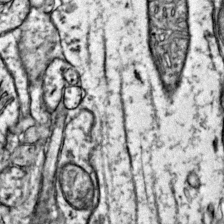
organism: Mouse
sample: Primary visual cortex